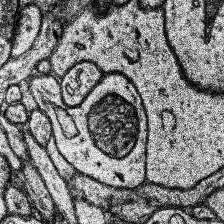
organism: Human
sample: Temporal Lobe